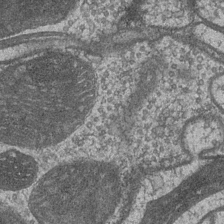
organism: Drosophila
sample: Optic medulla